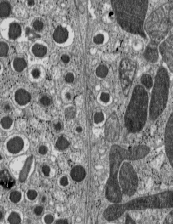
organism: C57BL Mouse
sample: Pancreatic islet